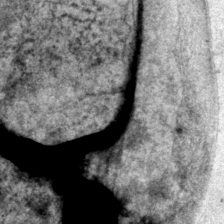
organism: P. pacificus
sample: Pharynx